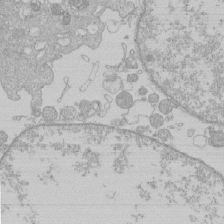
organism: Human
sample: Macrophage cells